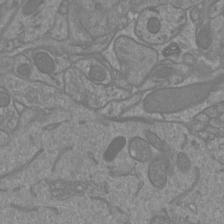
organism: Mouse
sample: Cortical neurons